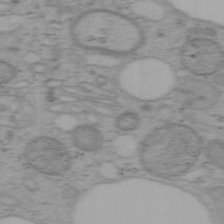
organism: Mouse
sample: OT-I killer T cells with ID8 ovarian cancer cells